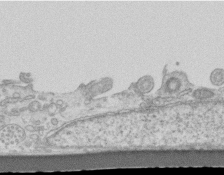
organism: Mouse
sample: Centriole in ependymal cells